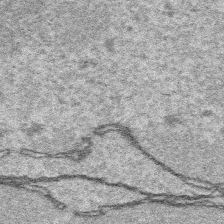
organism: Platynereis dumerilii